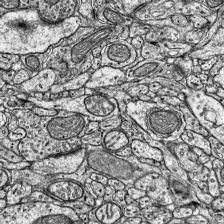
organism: Mouse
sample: Visual Cortex